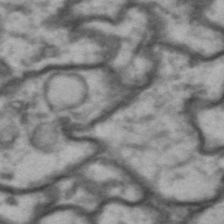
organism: Drosophila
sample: Brain